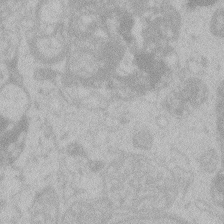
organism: Zebrafish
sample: Macrophage infected with Toxoplasma gondii